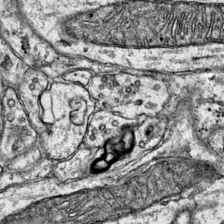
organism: Mouse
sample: Primary visual cortex